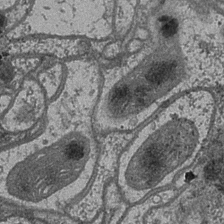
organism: Drosophila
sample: Optic medulla